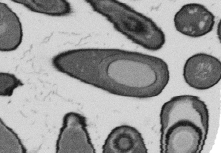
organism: B. subtilis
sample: Bacterial spore